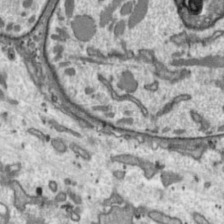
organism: Toxoplasma gondii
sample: Parasites in a vacuole inside a host cell